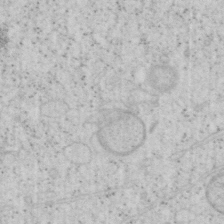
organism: Human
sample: HeLa cells